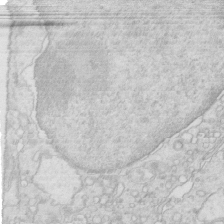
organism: Mouse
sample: Multiciliated cells